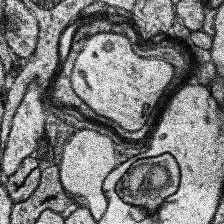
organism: Human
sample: Temporal Lobe